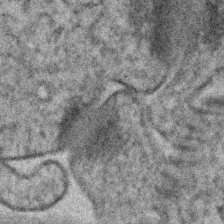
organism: Human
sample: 1205lu cells